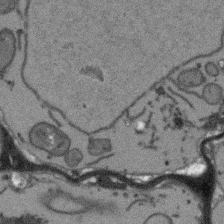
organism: Arabidopsis thaliana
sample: Root tip